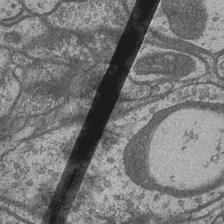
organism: Drosophila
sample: Optic medulla